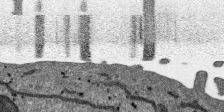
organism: Human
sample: Lung epithelial cells, uninfected (mock) control